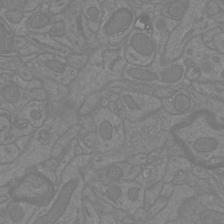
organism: Mouse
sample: Cortical neurons